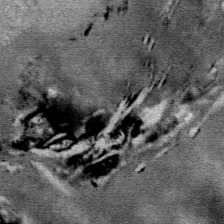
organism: Mouse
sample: Mouse Salivary gland